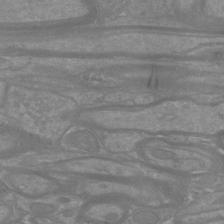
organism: Mouse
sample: Cortical neurons